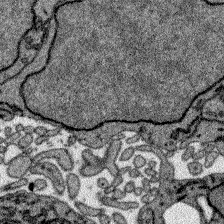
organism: Zebrafish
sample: Larval olfactory bulb